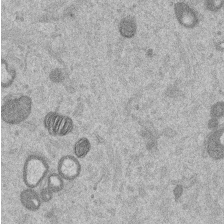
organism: Mouse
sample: Dividing mouse embryo 1 cell stage